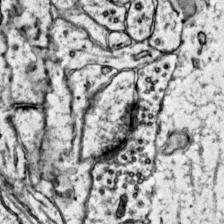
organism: Mouse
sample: Primary visual cortex